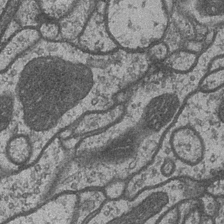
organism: Drosophila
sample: Optic medulla